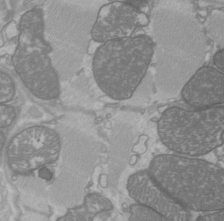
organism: C57BL Mouse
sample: Heart